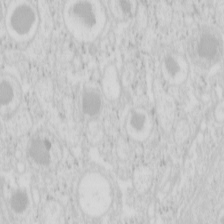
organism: Mouse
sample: Pancreas